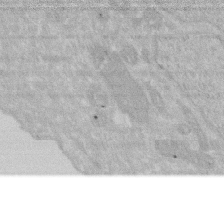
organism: Human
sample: HIV infected U937 cells